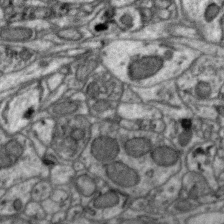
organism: Zebra finch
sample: Brain